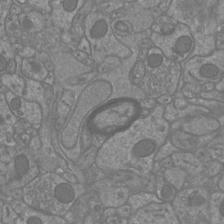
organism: Mouse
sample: Cortical neurons